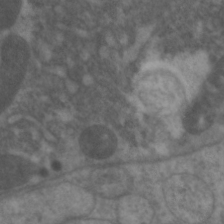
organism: C. elegans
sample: Pharynx